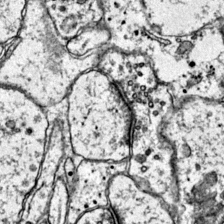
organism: Mouse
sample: Primary visual cortex